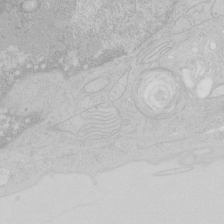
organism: Human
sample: Mitochondria in HCT116 cells